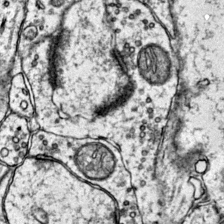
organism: Mouse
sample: Primary visual cortex